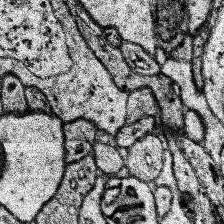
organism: Human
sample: Temporal Lobe